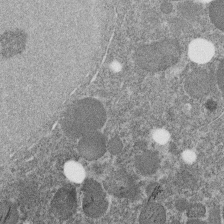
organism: C. elegans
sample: C. elegans embryo early stage